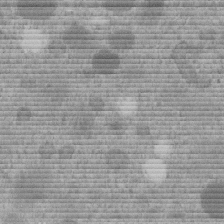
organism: C. elegans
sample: C. elegans embryo early stage